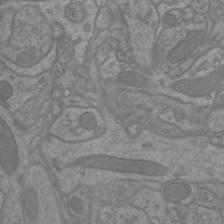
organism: Mouse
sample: Cortical neurons